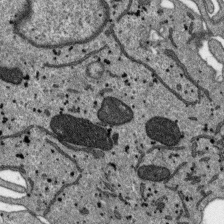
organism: Human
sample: Lung epithelial cells, uninfected (mock) control